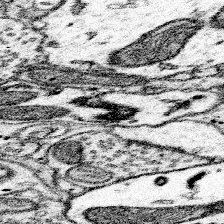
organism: Mouse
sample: Somatosensory cortex neuropil